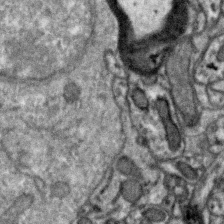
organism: Zebra finch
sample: Brain